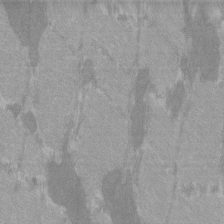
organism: C57BL Mouse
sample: Tibialis anterior muscle cell